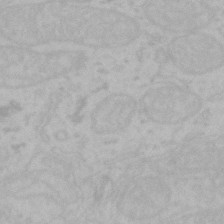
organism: Mouse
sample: Choroid plexus